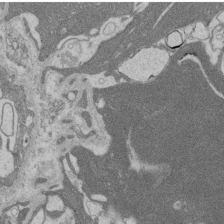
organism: Rat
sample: Salivary granule